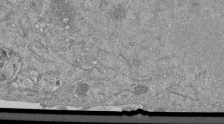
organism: Mouse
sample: ED-1 cell nuclei; centrioles